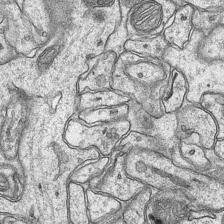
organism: Mouse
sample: CA1 Hippocampus